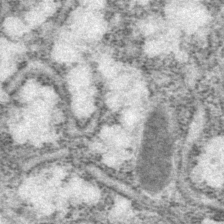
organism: P. pacificus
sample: Pharynx